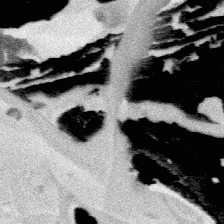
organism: Platynereis dumerilii